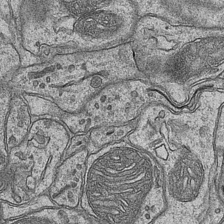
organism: Mouse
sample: CA1 Hippocampus